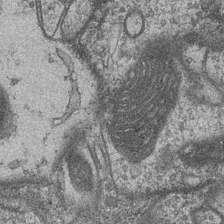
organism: Drosophila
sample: Optic medulla